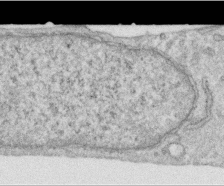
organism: Human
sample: Centriole in RPE cells